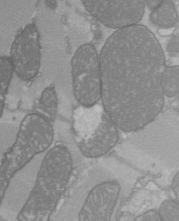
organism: C57BL Mouse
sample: Heart